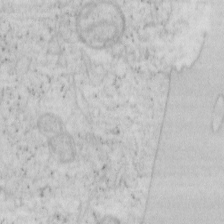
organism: Human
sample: HeLa cells